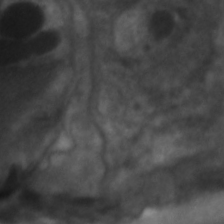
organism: C. elegans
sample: Pharynx